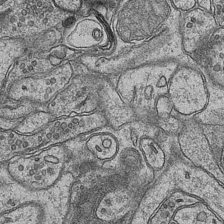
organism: Mouse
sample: CA1 Hippocampus